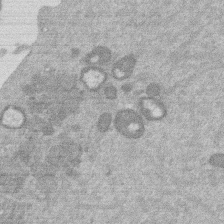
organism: Mouse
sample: Dividing mouse embryo 1 cell stage